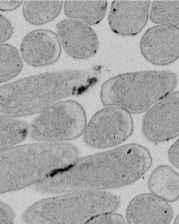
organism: E. coli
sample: Bacterial nucleoid